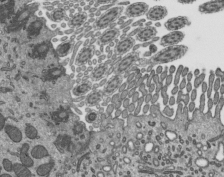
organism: Mouse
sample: Mouse epididymis efferent ductule cilia